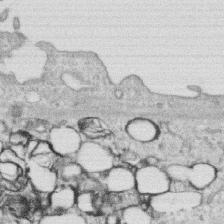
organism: Human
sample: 1205lu cells